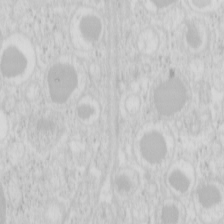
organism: Mouse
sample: Pancreas